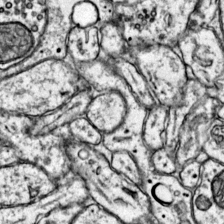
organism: Mouse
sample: Primary visual cortex